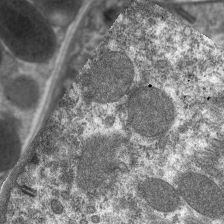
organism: C. elegans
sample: Pharynx